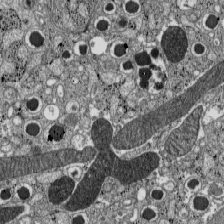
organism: C57BL Mouse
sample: Pancreatic islet